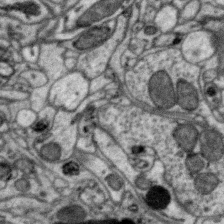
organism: Zebra finch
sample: Brain